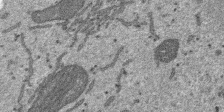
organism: Human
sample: Lung epithelial cells infected with SARS-CoV-2